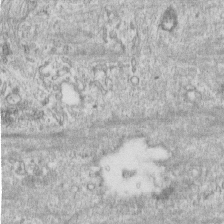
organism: Human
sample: Centriole in RPE cells